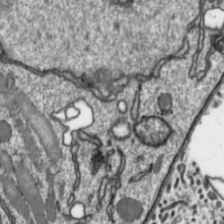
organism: Toxoplasma gondii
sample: Parasites in a vacuole inside a host cell